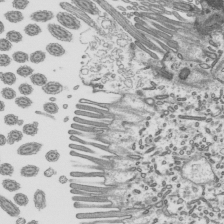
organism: Mouse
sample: Mouse epididymis efferent ductule cilia